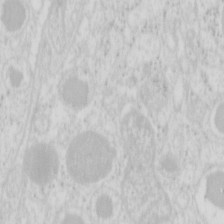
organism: Mouse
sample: Pancreas